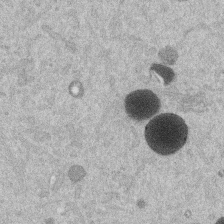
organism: Mouse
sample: Dividing mouse embryo 1 cell stage